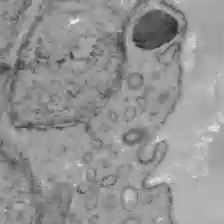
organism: C57BL Mouse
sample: Liver